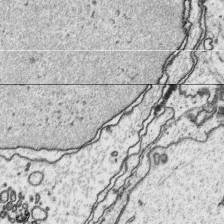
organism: Platynereis dumerilii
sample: Parapodia